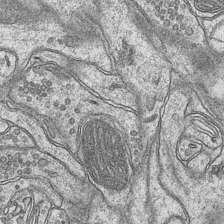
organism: Mouse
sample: CA1 Hippocampus